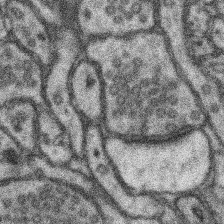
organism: Mouse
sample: Somatosensory cortex neuropil